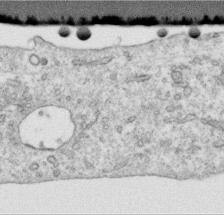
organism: Human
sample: Centriole in RPE cells